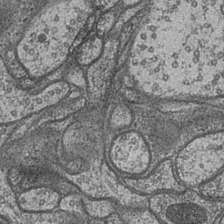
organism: Drosophila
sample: Optic medulla